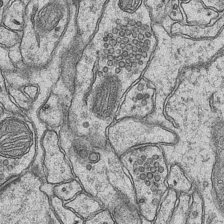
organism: Mouse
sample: CA1 Hippocampus